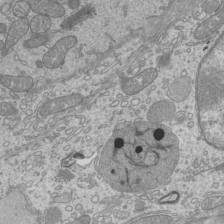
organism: Mouse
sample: Cilia; mouse epididymis